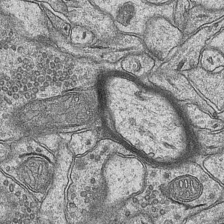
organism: Mouse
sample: CA1 Hippocampus